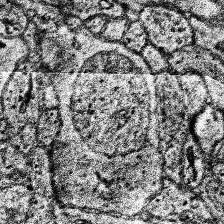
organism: Human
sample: Temporal Lobe